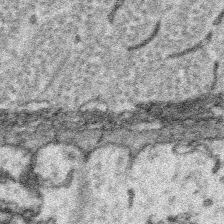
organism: Platynereis dumerilii